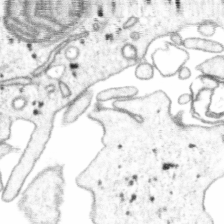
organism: Human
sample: HeLa cells